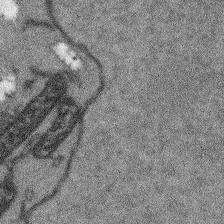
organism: Arabidopsis thaliana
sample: Root tip